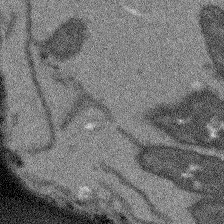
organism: Arabidopsis thaliana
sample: Root tip